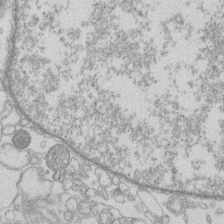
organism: Human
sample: Macrophage cells